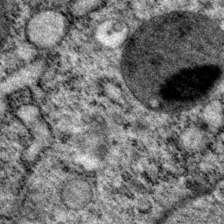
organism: P. pacificus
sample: Pharynx